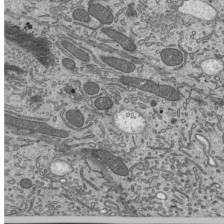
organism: Mouse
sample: Mouse epididymis efferent ductule cilia